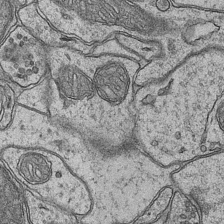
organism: Mouse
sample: CA1 Hippocampus